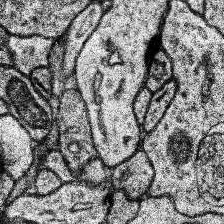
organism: Human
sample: Temporal Lobe